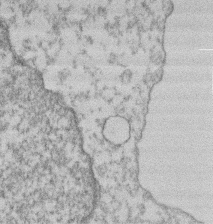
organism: Mouse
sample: T cell stromal cell synapse